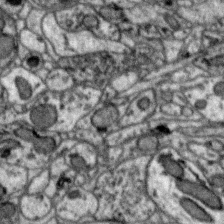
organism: Zebra finch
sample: Brain